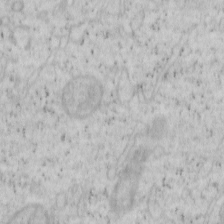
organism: Human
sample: HeLa cells